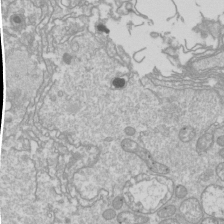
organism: Drosophila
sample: Cell division; meiosis; drosophila spermatocytes